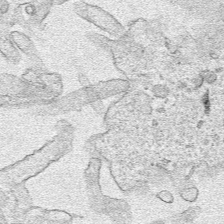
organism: Human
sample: Mitochondria in HCT116 cells